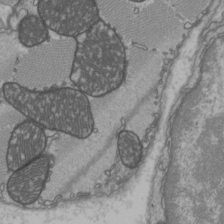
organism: C57BL Mouse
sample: Heart